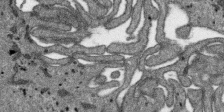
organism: Human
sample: Lung epithelial cells, uninfected (mock) control